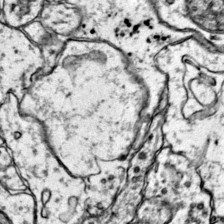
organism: Mouse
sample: Primary visual cortex